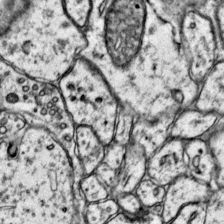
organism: Mouse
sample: Primary visual cortex